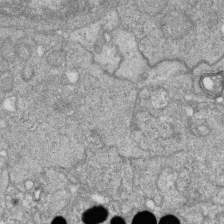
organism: Zebrafish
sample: Cilia; retinal pigment epithelium